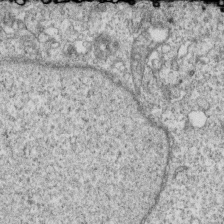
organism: Human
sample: HeLa cell HIV synapse